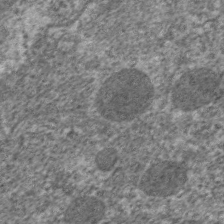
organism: C. elegans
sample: Pharynx